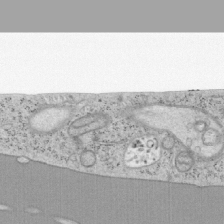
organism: Human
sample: HeLa cells